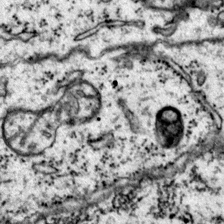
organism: Mouse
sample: Primary visual cortex